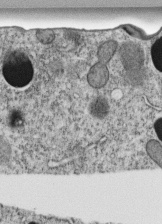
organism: C. elegans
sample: C. elegans embryo early stage